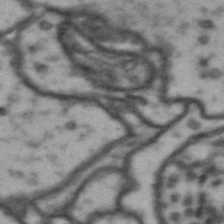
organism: Drosophila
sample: Brain